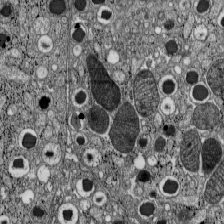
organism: C57BL Mouse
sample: Pancreatic islet